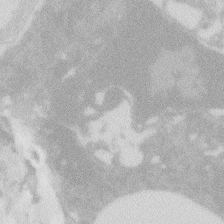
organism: Zebrafish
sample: Macrophage